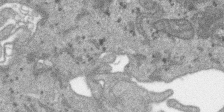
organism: Human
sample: Lung epithelial cells infected with SARS-CoV-2